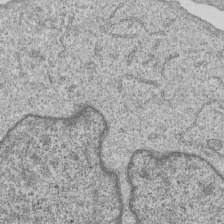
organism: Human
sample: MDA-MB-231 cells